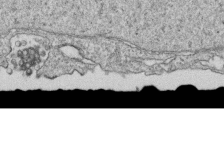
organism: Human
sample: HeLa cell HIV synapse